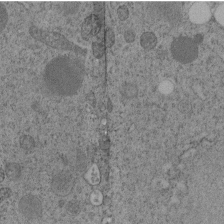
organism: C. elegans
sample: C. elegans embryo early stage